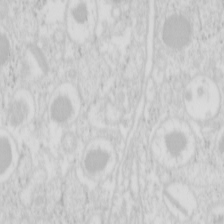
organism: Mouse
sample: Pancreas